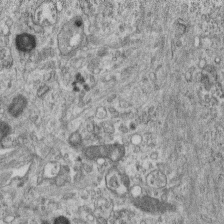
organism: Mouse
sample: Centriole in ependymal cells